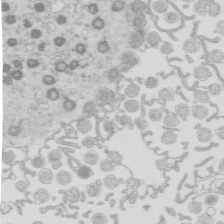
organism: Mouse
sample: Multiciliated cells